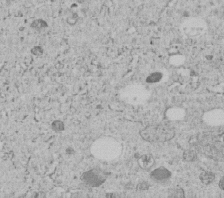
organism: C. elegans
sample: C. elegans embryo early stage